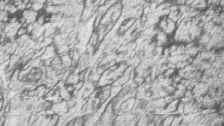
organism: Zebrafish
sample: synaptic ribbons in rod cells and cone cells